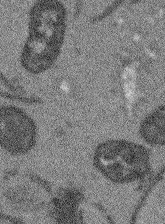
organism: Arabidopsis thaliana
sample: Root tip